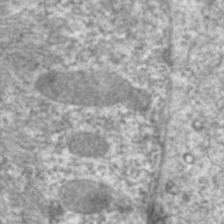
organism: C. elegans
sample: Pharynx